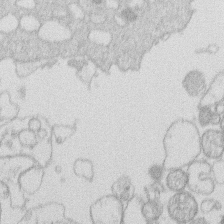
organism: Human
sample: Macrophage cells